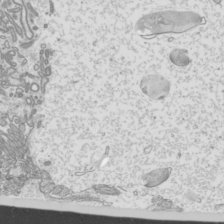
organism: Mouse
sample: Cilia; mouse epididymis